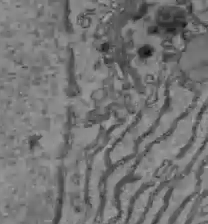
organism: C57BL Mouse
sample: Liver